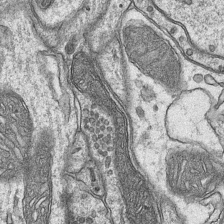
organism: Mouse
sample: CA1 Hippocampus